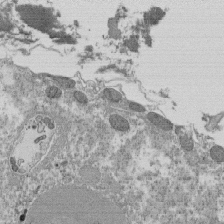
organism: Tetrahymena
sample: Cilia in tetrahymena